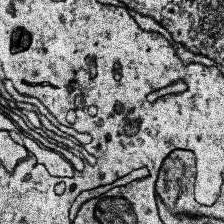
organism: Human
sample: Temporal Lobe